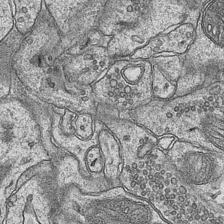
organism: Mouse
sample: CA1 Hippocampus